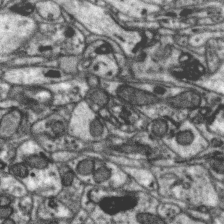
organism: Zebra finch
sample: Brain